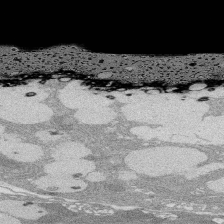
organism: Rat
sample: Salivary granule